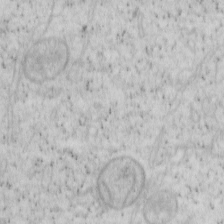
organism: Human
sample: HeLa cells